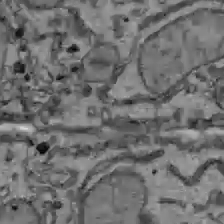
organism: C57BL Mouse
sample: Liver